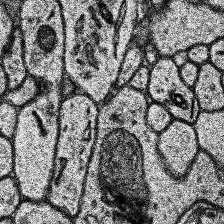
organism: Human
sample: Temporal Lobe